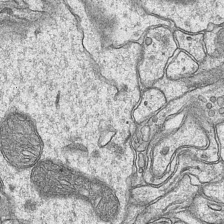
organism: Mouse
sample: CA1 Hippocampus